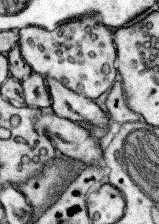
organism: Mouse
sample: Somatosensory cortex neuropil